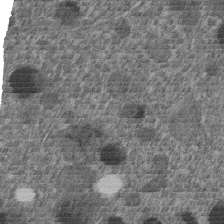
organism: C. elegans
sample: C. elegans embryo early stage